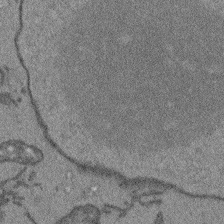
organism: Arabidopsis thaliana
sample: Root tip